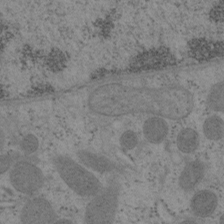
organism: Mouse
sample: OT-I killer T cells with ID8 ovarian cancer cells